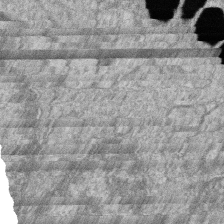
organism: Zebrafish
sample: Cilia; retinal pigment epithelium